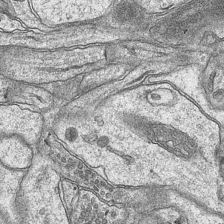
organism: Mouse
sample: CA1 Hippocampus